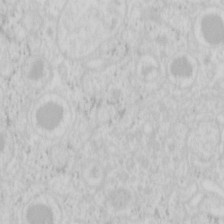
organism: Mouse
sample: Pancreas